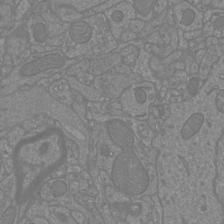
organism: Mouse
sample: Cortical neurons